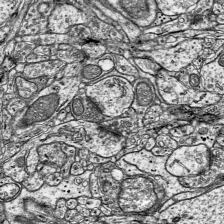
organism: Mouse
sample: Visual Cortex